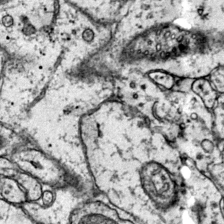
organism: Mouse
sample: Primary visual cortex